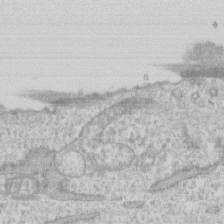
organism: Human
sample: CRL-1474